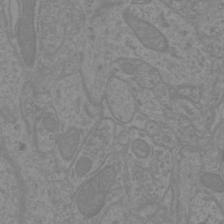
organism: Mouse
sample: Cortical neurons